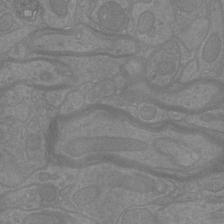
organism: Mouse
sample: Cortical neurons